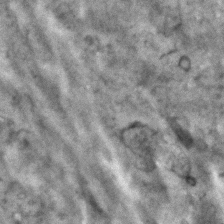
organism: Human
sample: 1205lu cells